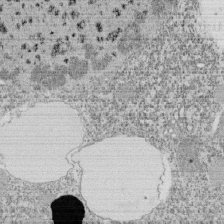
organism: Tetrahymena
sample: Cilia in tetrahymena